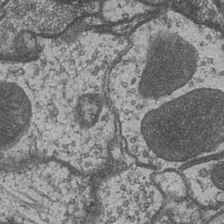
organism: Drosophila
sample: Optic medulla